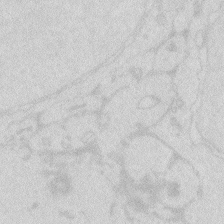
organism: Zebrafish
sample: Macrophage